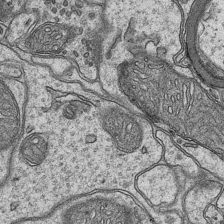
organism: Mouse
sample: CA1 Hippocampus